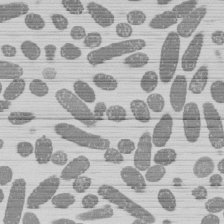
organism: E. coli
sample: Bacterial nucleoid